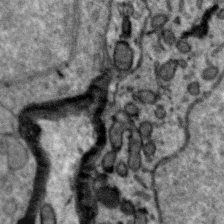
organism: Zebra finch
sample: Brain